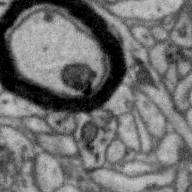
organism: Zebra finch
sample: Brain